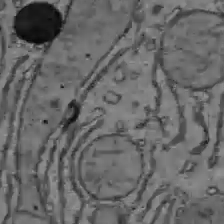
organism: C57BL Mouse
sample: Liver